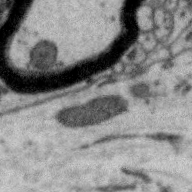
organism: Zebra finch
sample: Brain